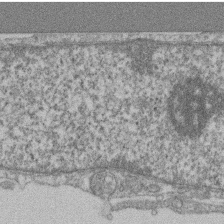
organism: Mouse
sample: T cell stromal cell synapse